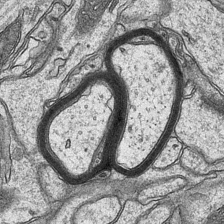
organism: Mouse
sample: CA1 Hippocampus